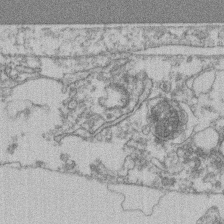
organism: Mouse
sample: T cell stromal cell synapse